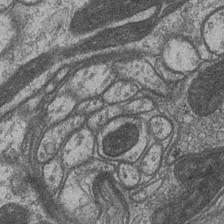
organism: Drosophila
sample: Optic medulla